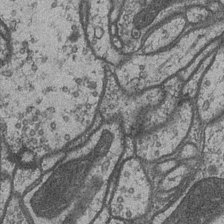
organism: Drosophila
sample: Optic medulla